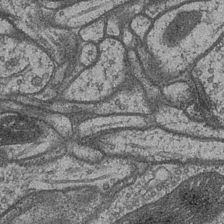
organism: Drosophila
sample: Optic medulla